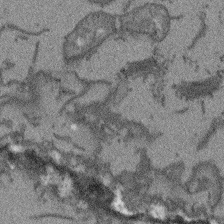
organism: Arabidopsis thaliana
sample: Root tip